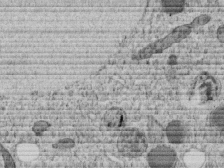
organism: C. elegans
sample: C. elegans embryo early stage